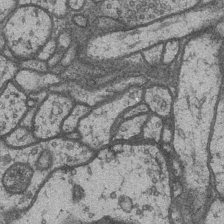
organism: Drosophila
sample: Optic medulla